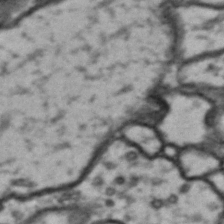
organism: Drosophila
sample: Brain